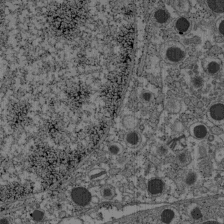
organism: C57BL Mouse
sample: Pancreatic islet